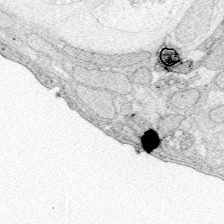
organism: Zebrafish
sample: Whole-Brain